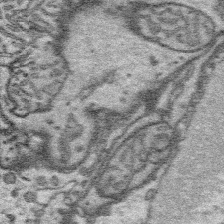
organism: Platynereis dumerilii